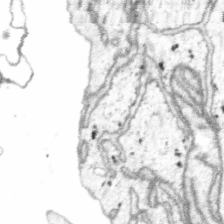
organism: Human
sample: HeLa cells